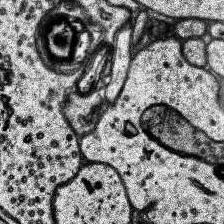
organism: Human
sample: Temporal Lobe